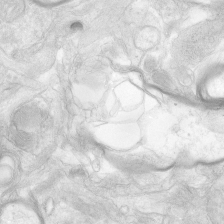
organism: Human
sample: Neocortex